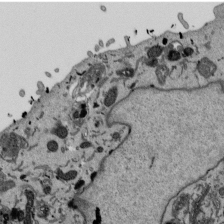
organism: Mouse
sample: ED-1 cell nuclei; centrioles